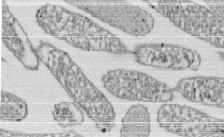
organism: E. coli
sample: Bacterial nucleoid